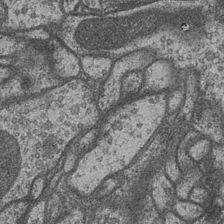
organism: Drosophila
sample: Optic medulla